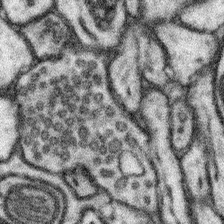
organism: Mouse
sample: Somatosensory cortex neuropil